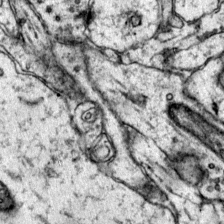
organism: Mouse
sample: Primary visual cortex